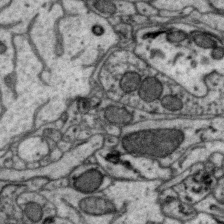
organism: Zebra finch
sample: Brain